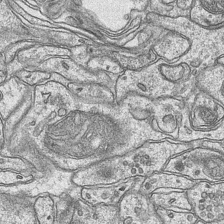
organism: Mouse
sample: CA1 Hippocampus